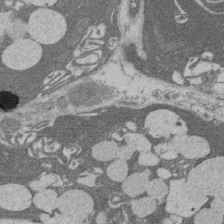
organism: Rat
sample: Salivary granule